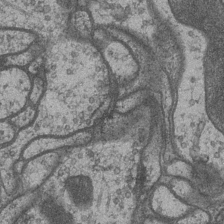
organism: Drosophila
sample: Optic medulla